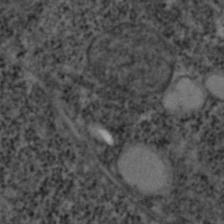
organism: Zebrafish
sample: Zebrafish embryo